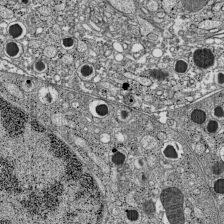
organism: C57BL Mouse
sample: Pancreatic islet